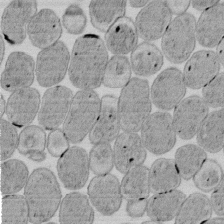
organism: E. coli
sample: Bacterial nucleoid